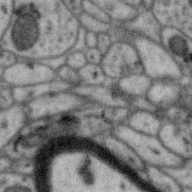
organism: Zebra finch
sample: Brain